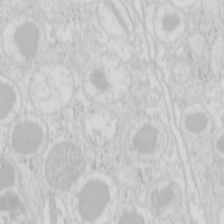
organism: Mouse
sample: Pancreas